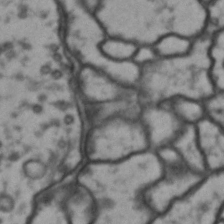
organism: Drosophila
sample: Brain